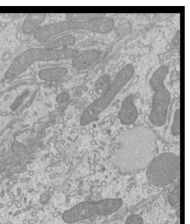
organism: Mouse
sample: Cilia; mouse epididymis